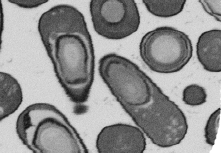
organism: B. subtilis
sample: Bacterial spore